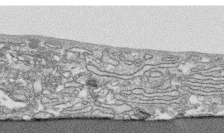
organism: Human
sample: CRL-1474